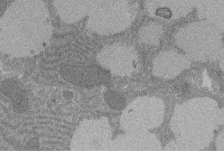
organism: Rat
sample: Salivary granule